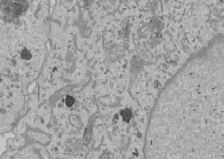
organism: Human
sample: Mitochondria in U2OS cells